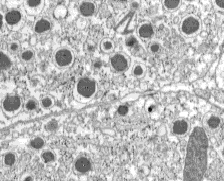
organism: C57BL Mouse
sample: Pancreatic islet